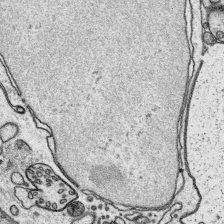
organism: Platynereis dumerilii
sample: Parapodia